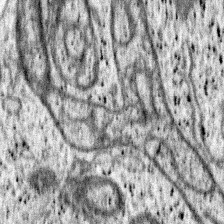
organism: Human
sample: HeLa cells